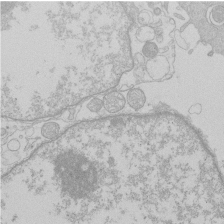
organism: Human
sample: Macrophage cells